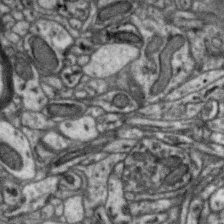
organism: Zebra finch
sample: Brain